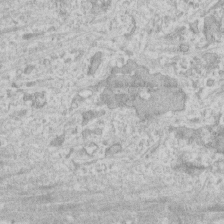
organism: Human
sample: Fibroblast cells